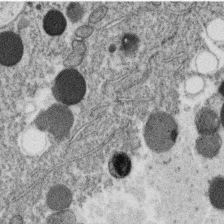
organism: C. elegans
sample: C. elegans oocyte; sperm cells